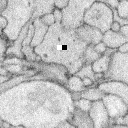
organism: Rabbit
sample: Retina